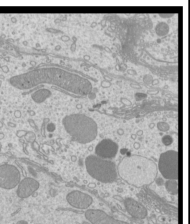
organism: Mouse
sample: Cilia; mouse epididymis